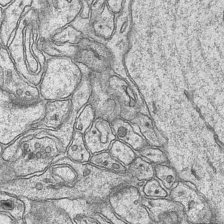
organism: Mouse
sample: CA1 Hippocampus